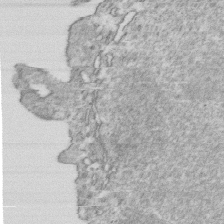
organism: Mouse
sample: Activated OT-1 CD8+ T cells